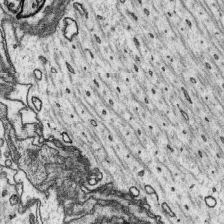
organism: Platynereis dumerilii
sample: Parapodia